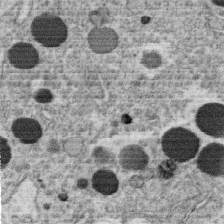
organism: C. elegans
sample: C. elegans oocyte; sperm cells